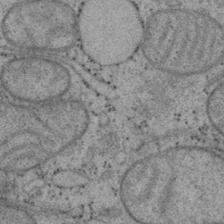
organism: Human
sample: HeLa cells